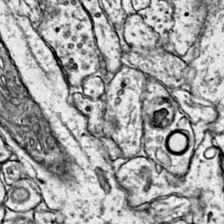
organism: Mouse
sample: Primary visual cortex